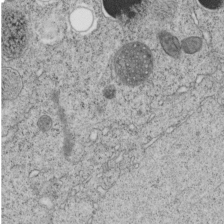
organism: C. elegans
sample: C. elegans embryo early stage